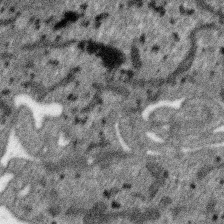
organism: Human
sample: Lung epithelial cells infected with SARS-CoV-2